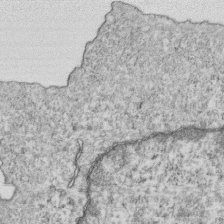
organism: Mouse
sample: Activated OT-1 CD8+ T cells